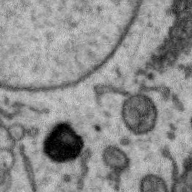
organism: Zebra finch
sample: Brain